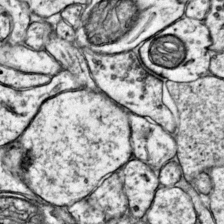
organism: Mouse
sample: Primary visual cortex